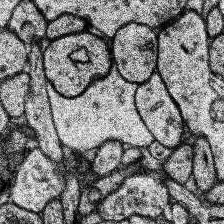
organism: Human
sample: Temporal Lobe